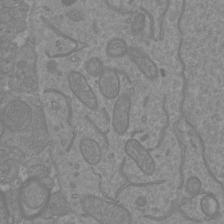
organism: Mouse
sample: Cortical neurons